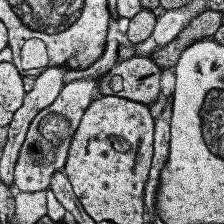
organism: Human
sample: Temporal Lobe